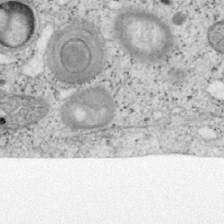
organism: Mouse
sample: OT-I killer T cells with ID8 ovarian cancer cells